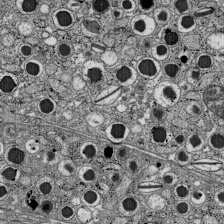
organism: C57BL Mouse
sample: Pancreatic islet